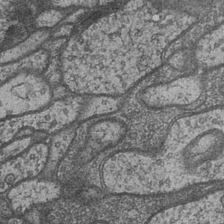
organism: Drosophila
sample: Optic medulla